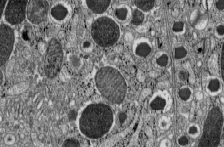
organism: C57BL Mouse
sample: Pancreatic islet